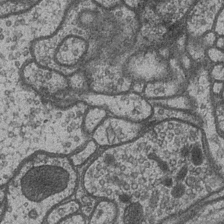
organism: Drosophila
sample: Optic medulla